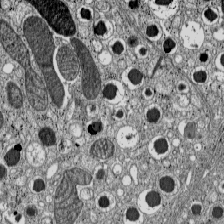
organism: C57BL Mouse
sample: Pancreatic islet